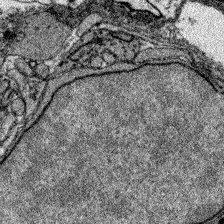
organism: Zebrafish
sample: Larval olfactory bulb